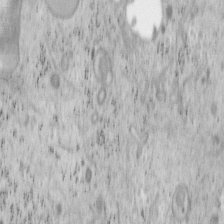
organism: Human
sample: HeLa cells